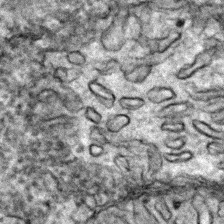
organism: Zebrafish